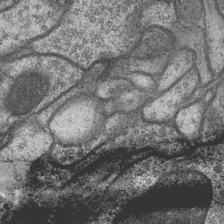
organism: Drosophila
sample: Optic medulla